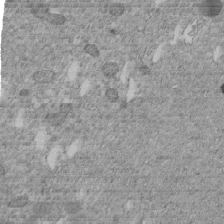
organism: C. elegans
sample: C. elegans embryo early stage